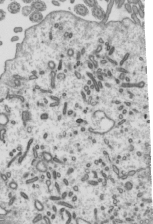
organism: Mouse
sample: Mouse epididymis efferent ductule cilia